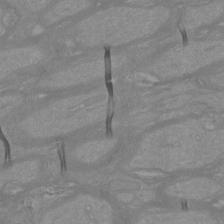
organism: Mouse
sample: Cortical neurons